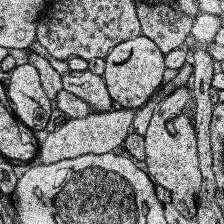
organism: Human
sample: Temporal Lobe